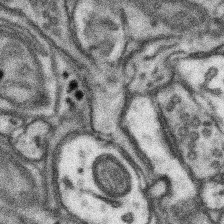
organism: Mouse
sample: Somatosensory cortex neuropil